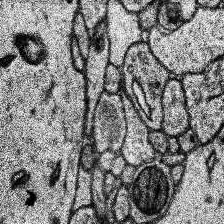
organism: Human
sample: Temporal Lobe